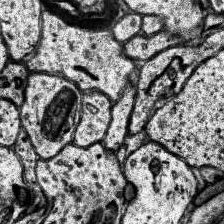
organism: Human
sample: Temporal Lobe